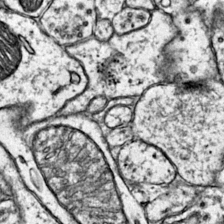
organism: Mouse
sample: Primary visual cortex